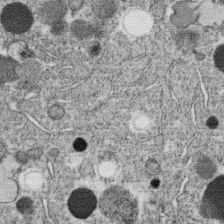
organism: C. elegans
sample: C. elegans oocyte; sperm cells